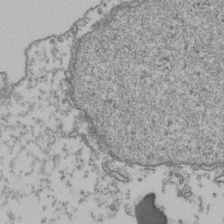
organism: Human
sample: Activated Jurkat CD4+ T cells